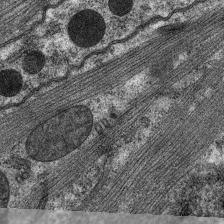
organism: C. elegans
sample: Pharynx